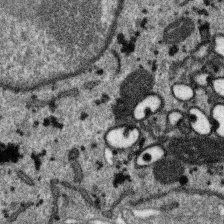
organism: Human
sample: Lung epithelial cells infected with SARS-CoV-2